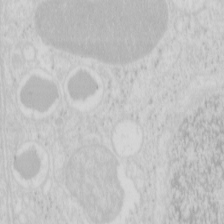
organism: Mouse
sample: Pancreas